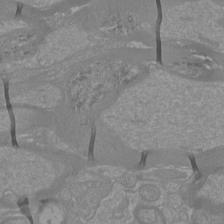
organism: Mouse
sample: Cortical neurons